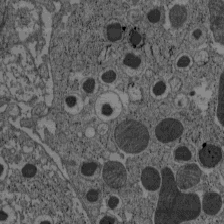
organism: C57BL Mouse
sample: Pancreatic islet